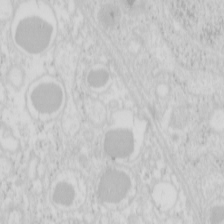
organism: Mouse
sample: Pancreas